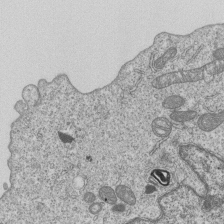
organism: Human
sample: MDA-MB-231 cells